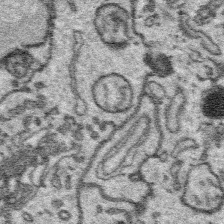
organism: Platynereis dumerilii